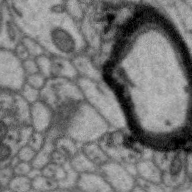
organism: Zebra finch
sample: Brain